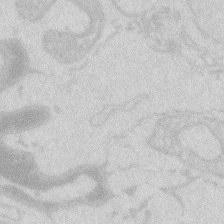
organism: Zebrafish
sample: Macrophage